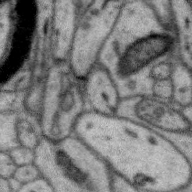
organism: Zebra finch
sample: Brain